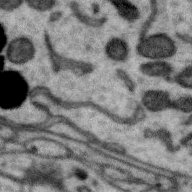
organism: Zebra finch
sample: Brain